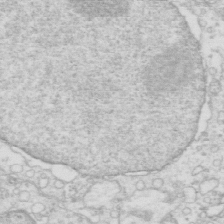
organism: Mouse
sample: Multiciliated cells